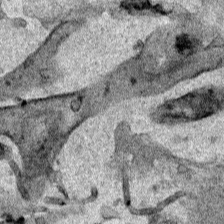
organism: Human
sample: Mitochondria in HCT116 cells